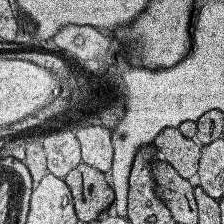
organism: Human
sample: Temporal Lobe